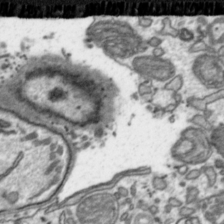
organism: Toxoplasma gondii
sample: Parasites in a vacuole inside a host cell